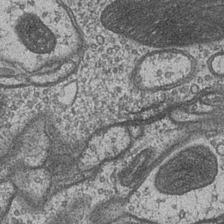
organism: Drosophila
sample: Optic medulla